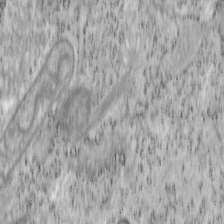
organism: Human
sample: HeLa cells